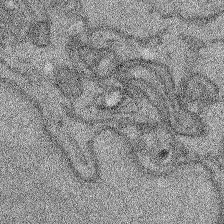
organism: Human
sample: HeLa cells